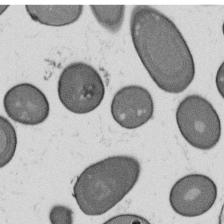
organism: B. subtilis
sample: Bacterial spore